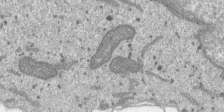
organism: Human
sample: Lung epithelial cells infected with SARS-CoV-2